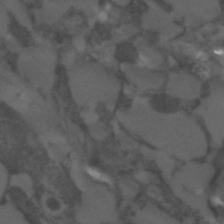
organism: C. elegans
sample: C. elegans embryo